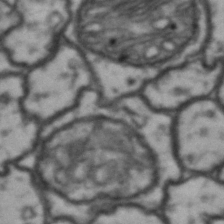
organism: Drosophila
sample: Brain